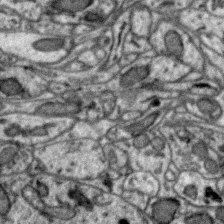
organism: Zebra finch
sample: Brain